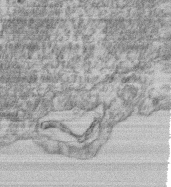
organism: Mouse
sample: T cell stromal cell synapse